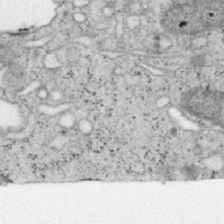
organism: Mouse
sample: OT-I killer T cells with ID8 ovarian cancer cells